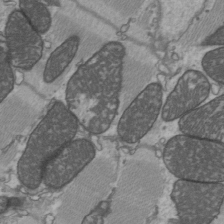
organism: C57BL Mouse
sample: Heart